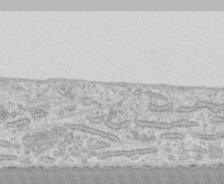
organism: Human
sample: CRL-1474